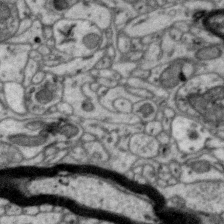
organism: Zebra finch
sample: Brain